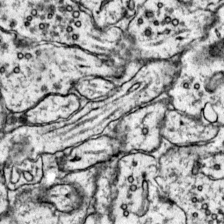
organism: Mouse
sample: Primary visual cortex